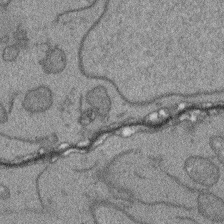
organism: Arabidopsis thaliana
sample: Root tip